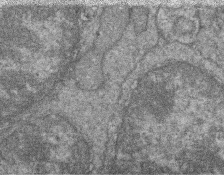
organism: Zebrafish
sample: Cilia; retinal pigment epithelium